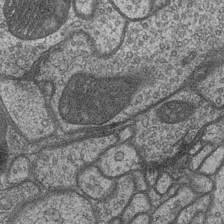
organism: Drosophila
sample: Optic medulla